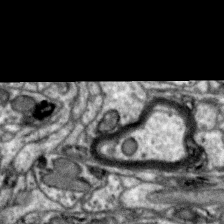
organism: Zebra finch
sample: Brain